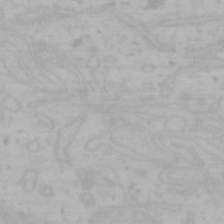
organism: Mouse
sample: Choroid plexus